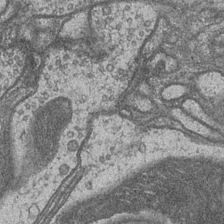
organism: Drosophila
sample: Optic medulla